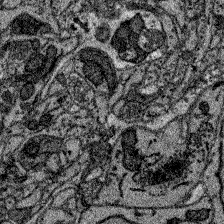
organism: Zebrafish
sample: Larval olfactory bulb